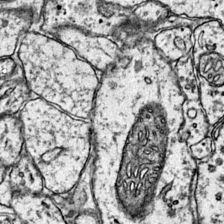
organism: Mouse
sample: Primary visual cortex